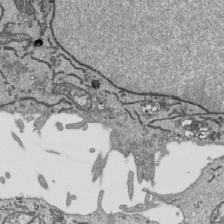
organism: Human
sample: Mitochondria in HCT116 cells